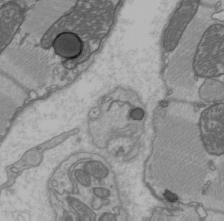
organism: C57BL Mouse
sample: Heart